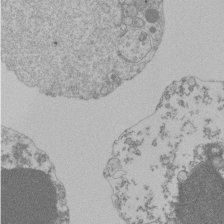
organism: Mouse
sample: Activated Pmel transgenic CD8+ T Cells